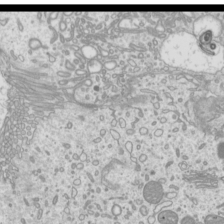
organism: Mouse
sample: Cilia; mouse epididymis